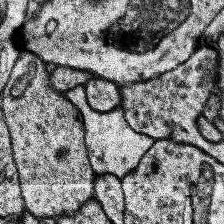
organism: Human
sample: Temporal Lobe